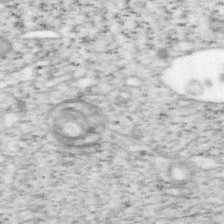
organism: Mouse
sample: OT-I killer T cells with ID8 ovarian cancer cells